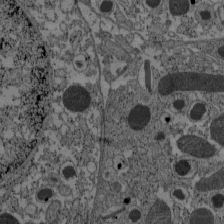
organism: C57BL Mouse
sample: Pancreatic islet